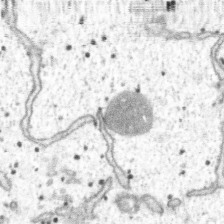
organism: Human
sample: HeLa cells